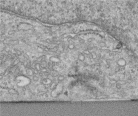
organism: Human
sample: Centriole in RPE cells